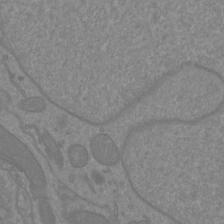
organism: Mouse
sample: Cortical neurons